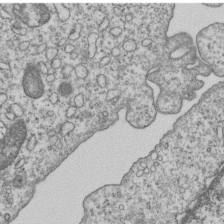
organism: Human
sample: MDA-MB-231 cells